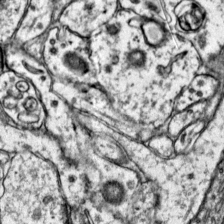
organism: Mouse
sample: Primary visual cortex